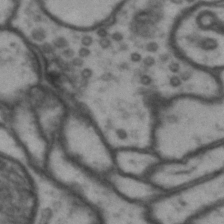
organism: Drosophila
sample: Brain